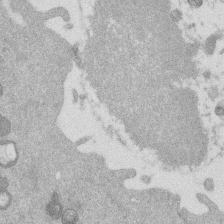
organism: Mouse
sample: Dividing mouse embryo 1 cell stage